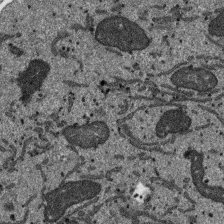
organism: Human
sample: Lung epithelial cells infected with SARS-CoV-2